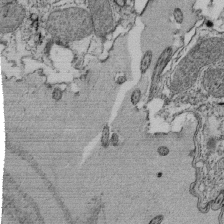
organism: Tetrahymena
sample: Cilia in tetrahymena